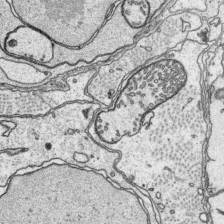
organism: Platynereis dumerilii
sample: Parapodia